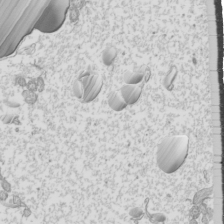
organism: Mouse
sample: Cilia; mouse epididymis